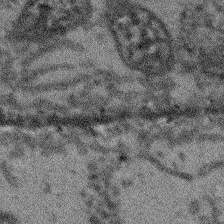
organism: Arabidopsis thaliana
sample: Root tip